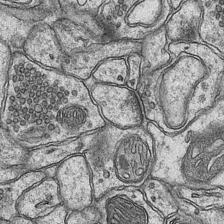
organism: Mouse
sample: CA1 Hippocampus